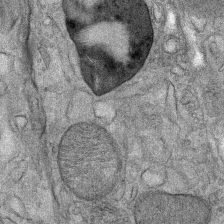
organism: Mouse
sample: Mouse Salivary gland